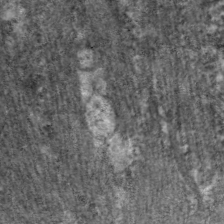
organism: C. elegans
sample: Pharynx